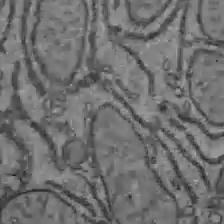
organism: C57BL Mouse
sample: Liver